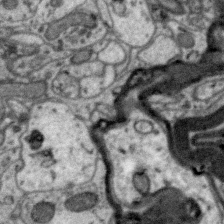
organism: Zebra finch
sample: Brain